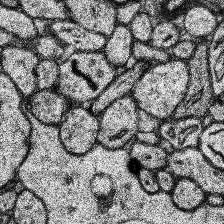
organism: Human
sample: Temporal Lobe